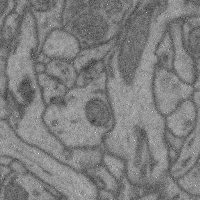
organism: Mouse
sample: Cerebral cortex